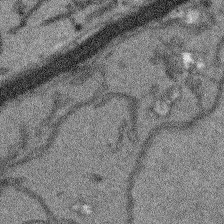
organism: Arabidopsis thaliana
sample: Root tip